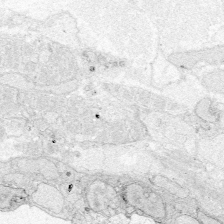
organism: Zebrafish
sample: Whole-Brain